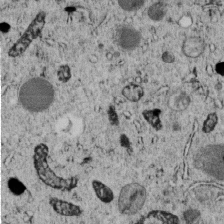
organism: C. elegans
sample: C. elegans embryo early stage